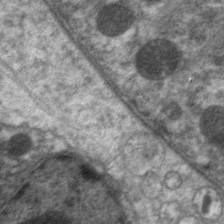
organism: C. elegans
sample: Pharynx